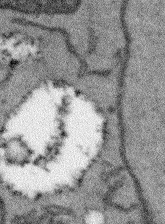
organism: Arabidopsis thaliana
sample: Root tip